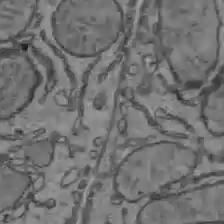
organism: C57BL Mouse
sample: Liver